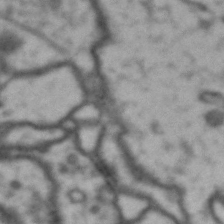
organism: Drosophila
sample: Brain